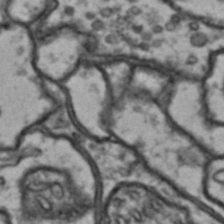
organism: Drosophila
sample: Brain